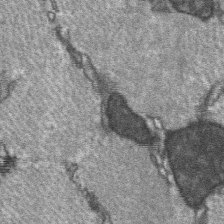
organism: C57BL Mouse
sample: Soleus